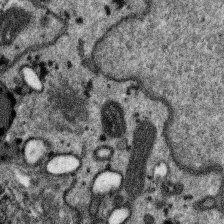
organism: Human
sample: Lung epithelial cells infected with SARS-CoV-2